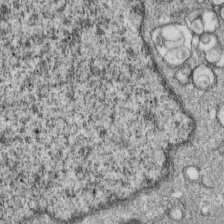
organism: African green monkey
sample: Vero E6 cells infected with SARS-CoV-2